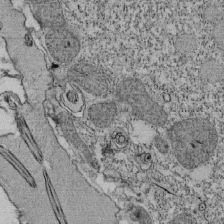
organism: Tetrahymena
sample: Cilia in tetrahymena